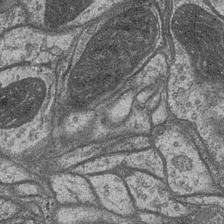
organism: Drosophila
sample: Optic medulla